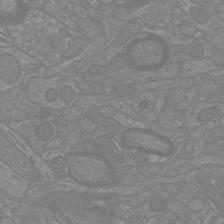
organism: Mouse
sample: Cortical neurons